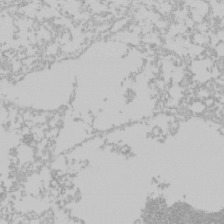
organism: Mouse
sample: Cancer cell death in ED-1 cells